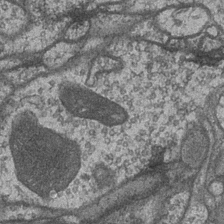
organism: Drosophila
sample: Optic medulla